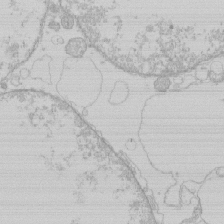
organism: Human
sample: Macrophage cells